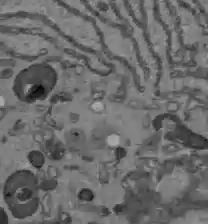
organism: C57BL Mouse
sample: Liver